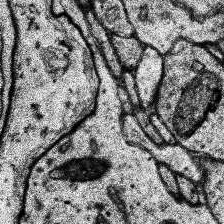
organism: Human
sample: Temporal Lobe